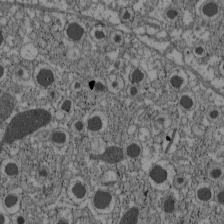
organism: C57BL Mouse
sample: Pancreatic islet